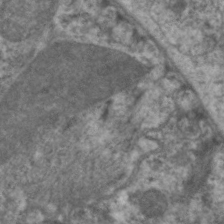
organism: C. elegans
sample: Pharynx